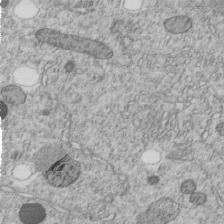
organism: C. elegans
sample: C. elegans embryo early stage